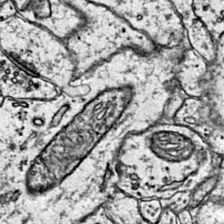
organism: Mouse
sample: Primary visual cortex